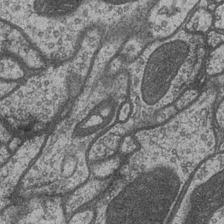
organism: Drosophila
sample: Optic medulla